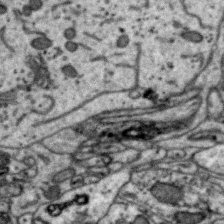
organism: Zebra finch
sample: Brain